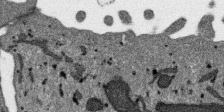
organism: Human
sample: Lung epithelial cells, uninfected (mock) control